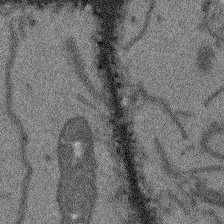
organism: Arabidopsis thaliana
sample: Root tip